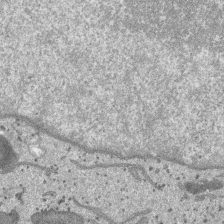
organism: Human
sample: Lung epithelial cells infected with SARS-CoV-2